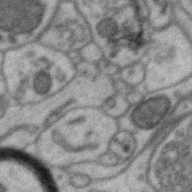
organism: Zebra finch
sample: Brain